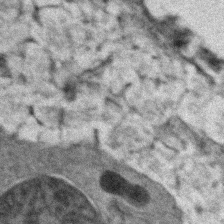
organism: Zebrafish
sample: Zebrafish embryo